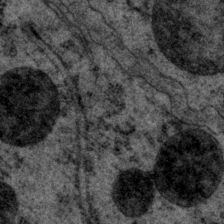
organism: P. pacificus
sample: Pharynx